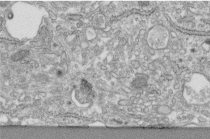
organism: Human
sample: Centriole in fibroblast cells